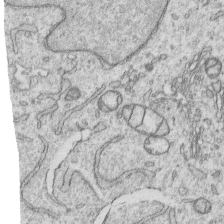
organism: Human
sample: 1205lu cells